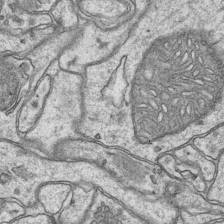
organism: Mouse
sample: CA1 Hippocampus